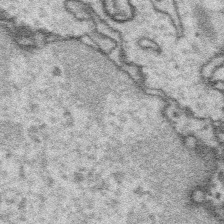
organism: Platynereis dumerilii